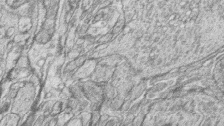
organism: Zebrafish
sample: synaptic ribbons in rod cells and cone cells